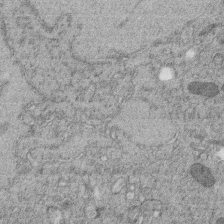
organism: C. elegans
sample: C. elegans embryo early stage